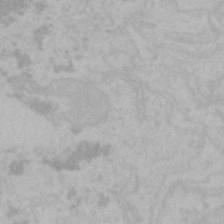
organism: Mouse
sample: Choroid plexus